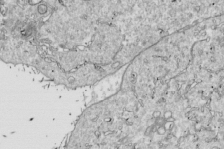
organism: Drosophila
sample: Cell division; meiosis; drosophila spermatocytes